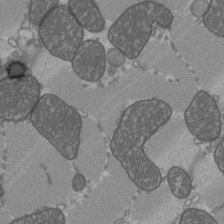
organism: C57BL Mouse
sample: Heart